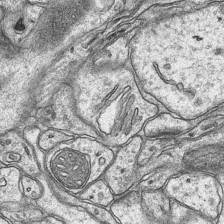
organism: Mouse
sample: CA1 Hippocampus